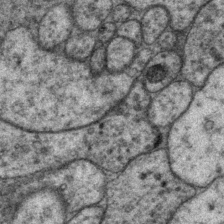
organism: P. pacificus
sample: Pharynx